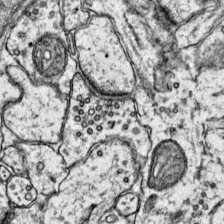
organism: Mouse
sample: Primary visual cortex